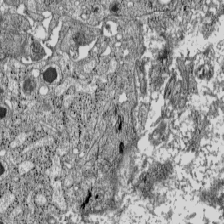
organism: C57BL Mouse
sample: Pancreatic islet